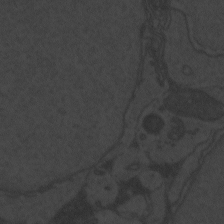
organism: Zebrafish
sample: Macrophage infected with Toxoplasma gondii